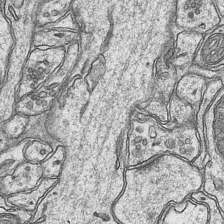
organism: Mouse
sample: CA1 Hippocampus